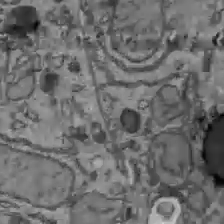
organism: C57BL Mouse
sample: Liver